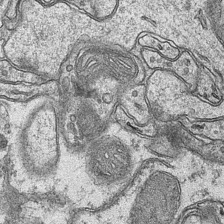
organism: Mouse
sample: CA1 Hippocampus